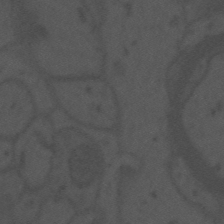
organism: Mouse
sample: Suprachiasmatic nucleus